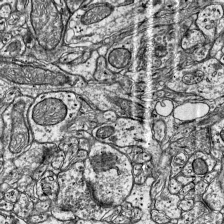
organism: Mouse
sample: Visual Cortex